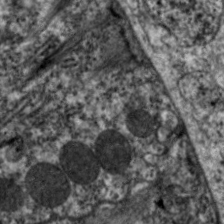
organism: C. elegans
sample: Pharynx